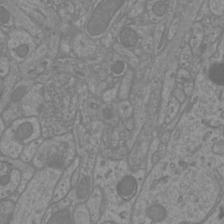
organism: Mouse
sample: Cortical neurons